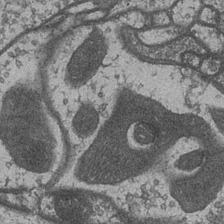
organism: Drosophila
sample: Optic medulla